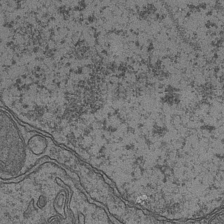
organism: Mouse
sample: CA1 Hippocampus